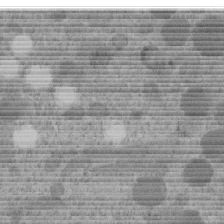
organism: C. elegans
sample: C. elegans embryo early stage